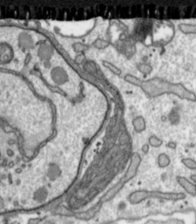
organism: Toxoplasma gondii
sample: Parasites in a vacuole inside a host cell